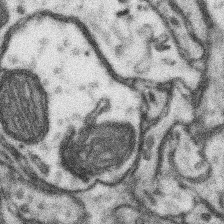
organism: Mouse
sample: Somatosensory cortex neuropil